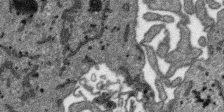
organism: Human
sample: Lung epithelial cells infected with SARS-CoV-2